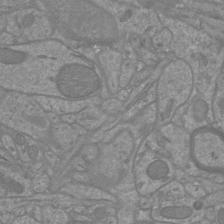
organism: Mouse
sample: Cortical neurons